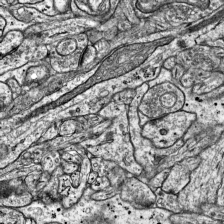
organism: Mouse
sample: Visual Cortex